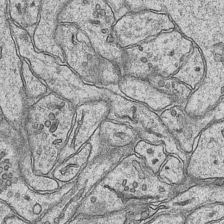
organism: Mouse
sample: CA1 Hippocampus